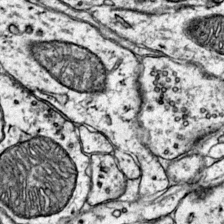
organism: Mouse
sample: Primary visual cortex